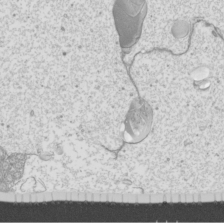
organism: Mouse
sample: Cilia; mouse epididymis